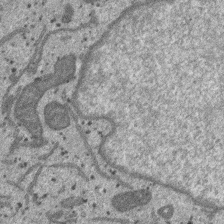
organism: Human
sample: Lung epithelial cells infected with SARS-CoV-2